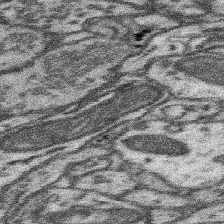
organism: Mouse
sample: Somatosensory cortex neuropil